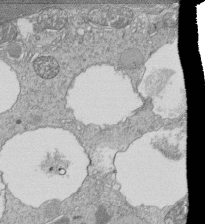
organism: Tetrahymena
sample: Cilia in tetrahymena